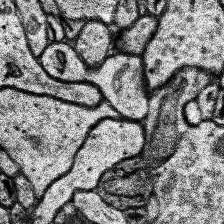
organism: Human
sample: Temporal Lobe